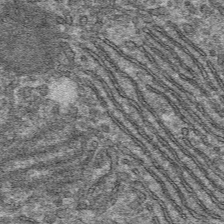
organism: Mouse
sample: Mouse hepatocytes